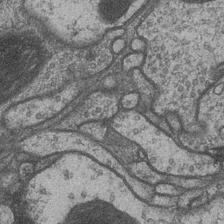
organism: Drosophila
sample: Optic medulla